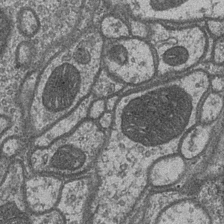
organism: Drosophila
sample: Optic medulla